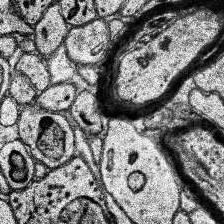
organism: Human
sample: Temporal Lobe